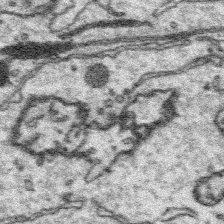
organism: Platynereis dumerilii